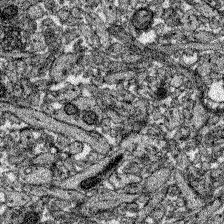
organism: Zebrafish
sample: Larval olfactory bulb